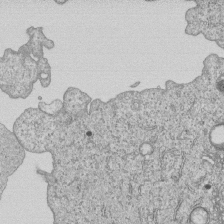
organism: Human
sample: MDA-MB-231 cells